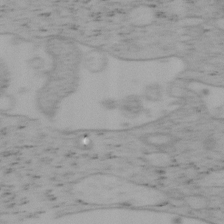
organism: Mouse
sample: OT-I killer T cells with ID8 ovarian cancer cells